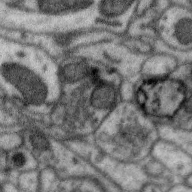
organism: Zebra finch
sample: Brain